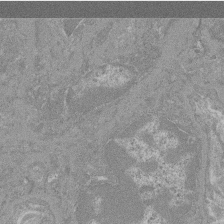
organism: Mouse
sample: Glomerulus